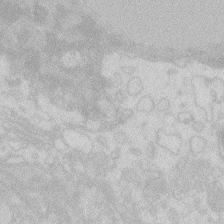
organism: Zebrafish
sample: Macrophage